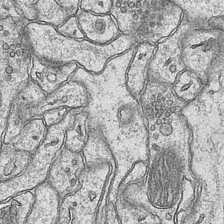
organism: Mouse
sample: CA1 Hippocampus